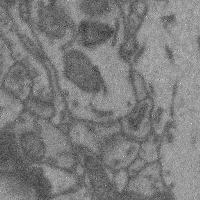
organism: Mouse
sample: Cerebral cortex